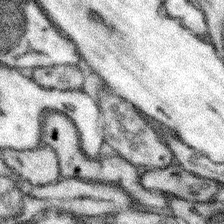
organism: Mouse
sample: Somatosensory cortex neuropil